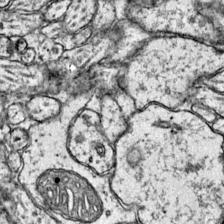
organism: Mouse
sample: Primary visual cortex